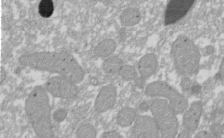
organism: Xenopus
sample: Cilia; centrioles in frog embryo cells